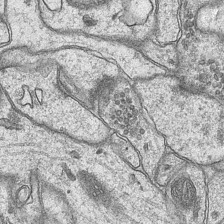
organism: Mouse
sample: CA1 Hippocampus